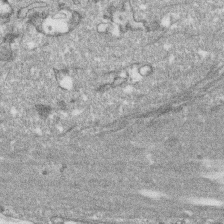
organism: Human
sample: CRL-1474